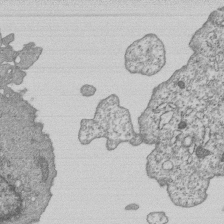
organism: Human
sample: MDA-MB-231 cells